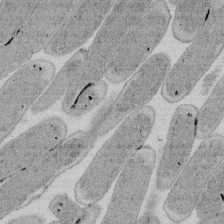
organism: E. coli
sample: Bacterial nucleoid